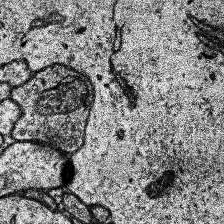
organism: Human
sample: Temporal Lobe